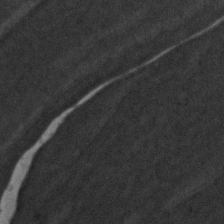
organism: Zebrafish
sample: Zebrafish embryo